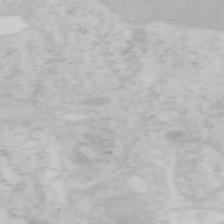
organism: Mouse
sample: OT-I killer T cells with ID8 ovarian cancer cells